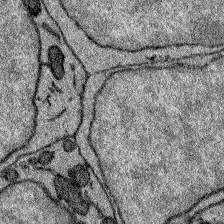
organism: Zebrafish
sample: Larval olfactory bulb